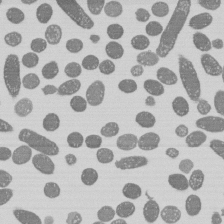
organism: E. coli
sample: Bacterial nucleoid